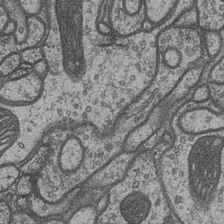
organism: Drosophila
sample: Optic medulla